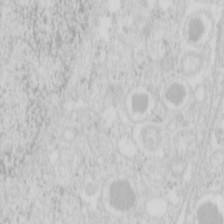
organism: Mouse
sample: Pancreas